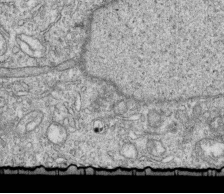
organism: Human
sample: HeLa cell HIV synapse